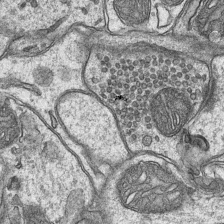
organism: Mouse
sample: CA1 Hippocampus